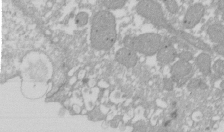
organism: Xenopus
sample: Cilia; centrioles in frog embryo cells